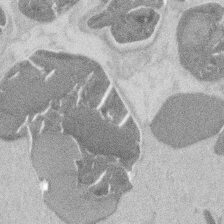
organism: Mouse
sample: T cell stromal cell synapse